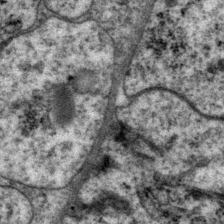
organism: P. pacificus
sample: Pharynx